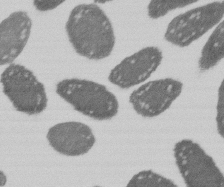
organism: E. coli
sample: Bacterial nucleoid